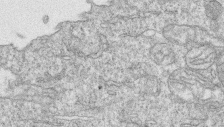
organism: Human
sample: HeLa cell HIV synapse